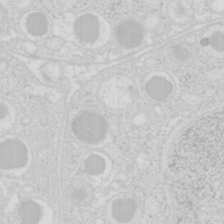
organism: Mouse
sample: Pancreas